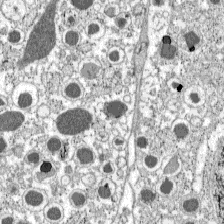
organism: C57BL Mouse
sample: Pancreatic islet